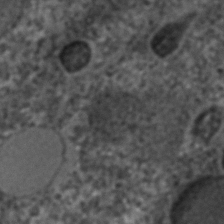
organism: C. elegans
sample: C. elegans embryo